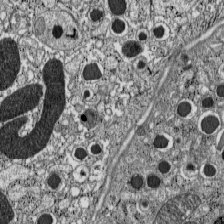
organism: C57BL Mouse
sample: Pancreatic islet